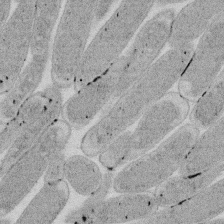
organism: E. coli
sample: Bacterial nucleoid